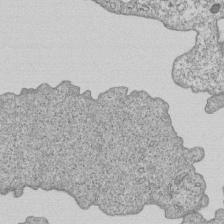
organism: Human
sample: MDA-MB-231 cells